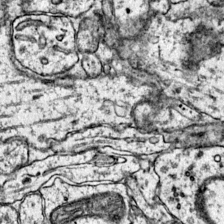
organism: Mouse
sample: Primary visual cortex